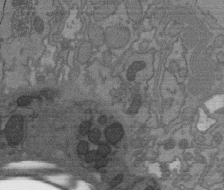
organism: C. elegans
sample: AFD neurons C. elegans